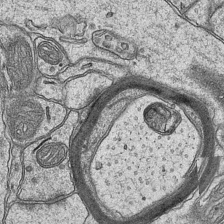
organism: Mouse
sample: CA1 Hippocampus